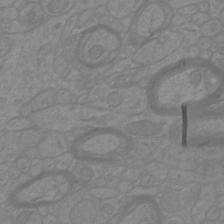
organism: Mouse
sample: Cortical neurons